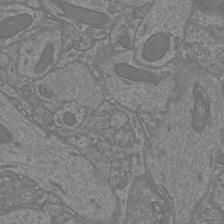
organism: Mouse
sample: Cortical neurons